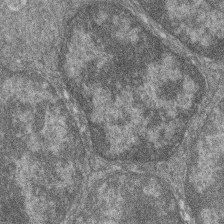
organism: Zebrafish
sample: Cilia; retinal pigment epithelium